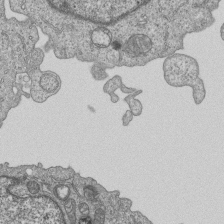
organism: Human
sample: MDA-MB-231 cells